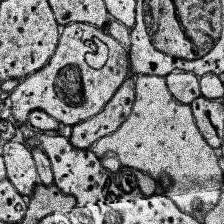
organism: Human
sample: Temporal Lobe